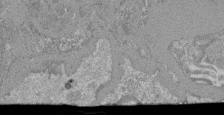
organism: Mouse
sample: Glomerulus